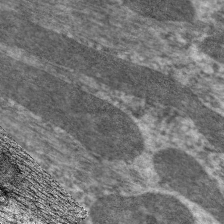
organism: C. elegans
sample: Pharynx